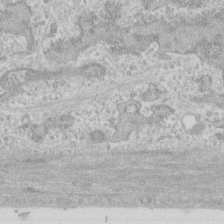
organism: Human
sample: CRL-1474